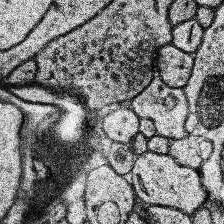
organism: Human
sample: Temporal Lobe